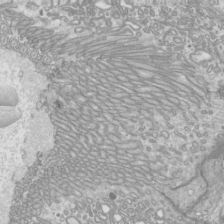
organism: Mouse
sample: Cilia; mouse epididymis